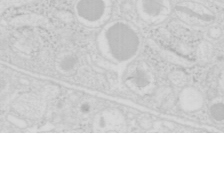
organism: Mouse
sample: Pancreas